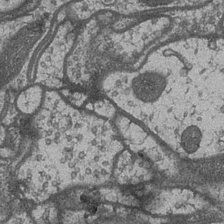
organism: Drosophila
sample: Optic medulla